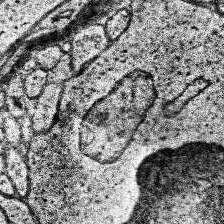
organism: Human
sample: Temporal Lobe